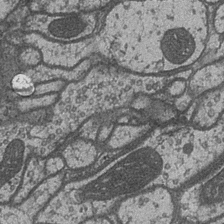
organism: Drosophila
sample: Optic medulla